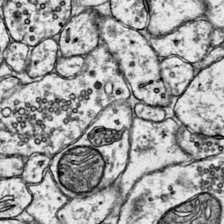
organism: Mouse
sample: Primary visual cortex